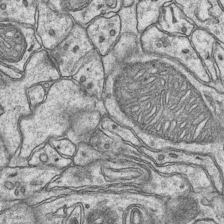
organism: Mouse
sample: CA1 Hippocampus